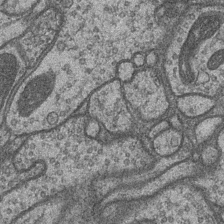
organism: Drosophila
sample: Optic medulla